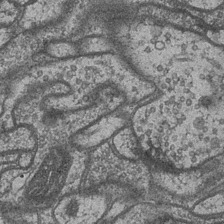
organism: Drosophila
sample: Optic medulla